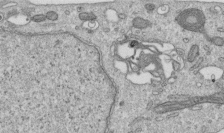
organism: Human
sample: Centriole in RPE cells